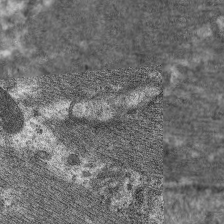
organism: C. elegans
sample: Pharynx